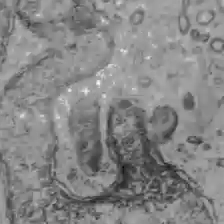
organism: C57BL Mouse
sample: Liver